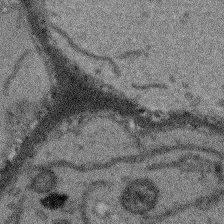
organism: Arabidopsis thaliana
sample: Root tip